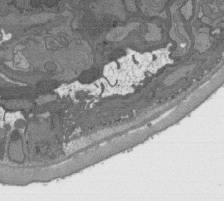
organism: C. elegans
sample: AFD neurons C. elegans